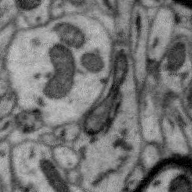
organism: Zebra finch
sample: Brain